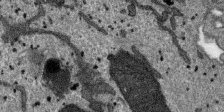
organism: Human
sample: Lung epithelial cells, uninfected (mock) control